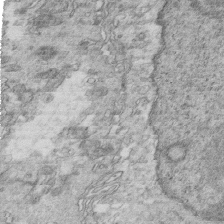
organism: Mouse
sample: Multiciliated cells